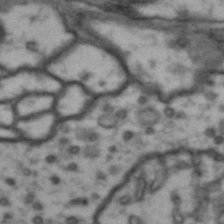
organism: Drosophila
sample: Brain